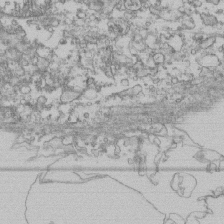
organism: Human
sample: Fibroblast cells